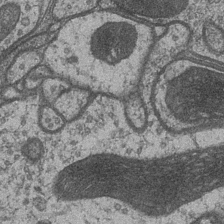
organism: Drosophila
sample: Optic medulla